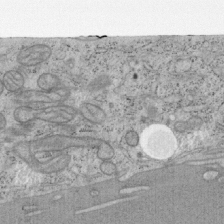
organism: Human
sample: HeLa cells